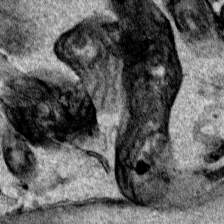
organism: Human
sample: Mitochondria in HCT116 cells